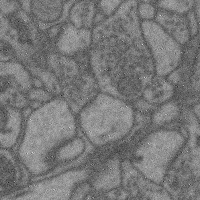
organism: Mouse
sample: Cerebral cortex